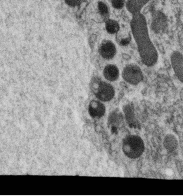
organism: C. elegans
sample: C. elegans oocyte; sperm cells